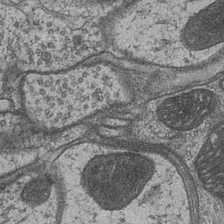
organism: Drosophila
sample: Optic medulla